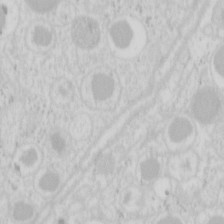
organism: Mouse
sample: Pancreas